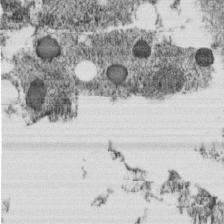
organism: C. elegans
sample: C. elegans embryo early stage